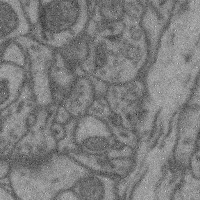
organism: Mouse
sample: Cerebral cortex